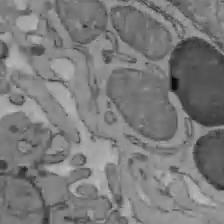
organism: C57BL Mouse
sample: Liver